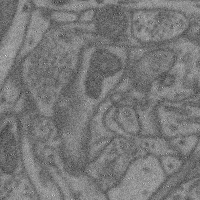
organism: Mouse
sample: Cerebral cortex